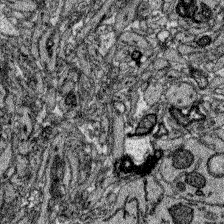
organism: Zebrafish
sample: Larval olfactory bulb